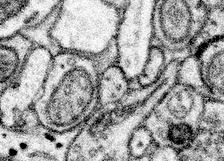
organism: Mouse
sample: Somatosensory cortex neuropil